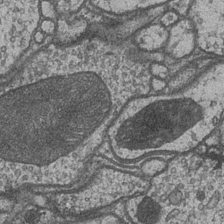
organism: Drosophila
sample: Optic medulla